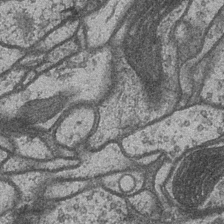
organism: Drosophila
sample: Optic medulla